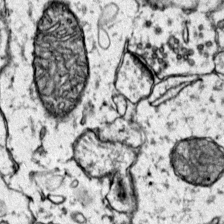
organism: Mouse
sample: Primary visual cortex